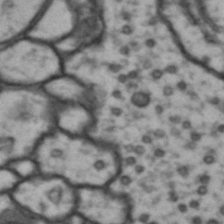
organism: Drosophila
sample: Brain